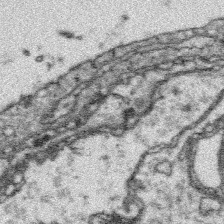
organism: Platynereis dumerilii